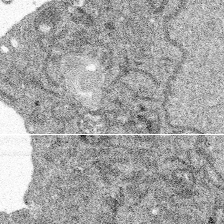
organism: Spongilla lacustris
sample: Multiple